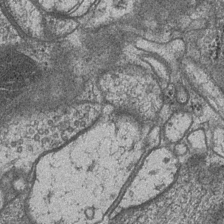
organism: Drosophila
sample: Optic medulla